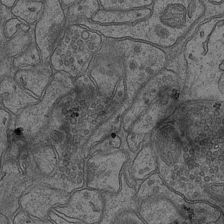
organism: Mouse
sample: CA1 Hippocampus